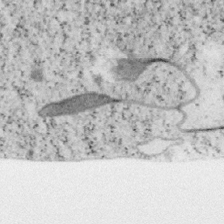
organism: Mouse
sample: OT-I killer T cells with ID8 ovarian cancer cells